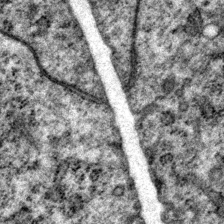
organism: P. pacificus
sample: Pharynx